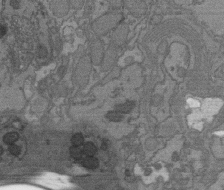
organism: C. elegans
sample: AFD neurons C. elegans